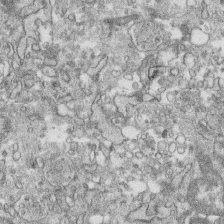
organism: Human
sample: CRL-1474